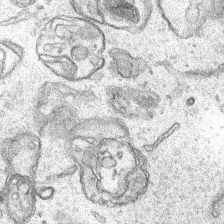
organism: Human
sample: Mitochondria in HCT116 cells